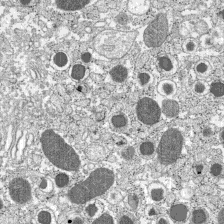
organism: C57BL Mouse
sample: Pancreatic islet